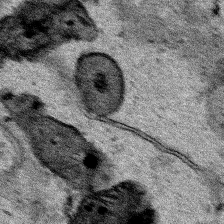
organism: Human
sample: Mitochondria in HCT116 cells